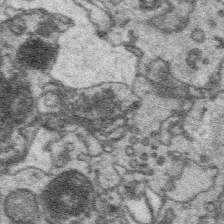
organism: Platynereis dumerilii